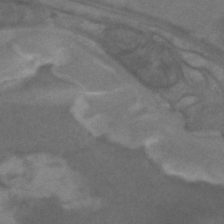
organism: C. elegans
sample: C. elegans embryo